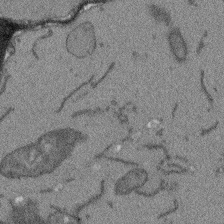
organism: Arabidopsis thaliana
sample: Root tip